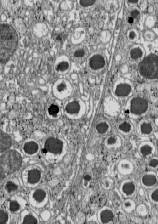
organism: C57BL Mouse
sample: Pancreatic islet